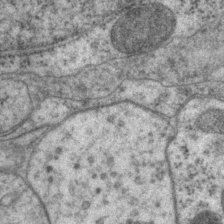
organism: P. pacificus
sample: Pharynx